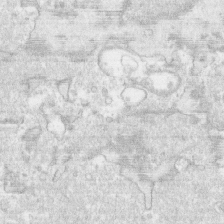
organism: Human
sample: CRL-1474